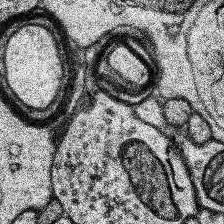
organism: Human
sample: Temporal Lobe